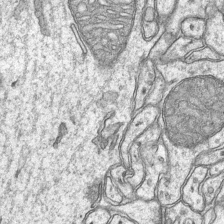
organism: Mouse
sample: CA1 Hippocampus